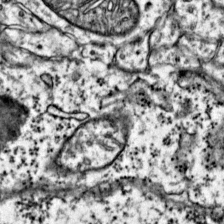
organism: Mouse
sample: Primary visual cortex